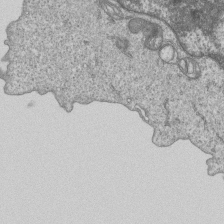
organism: Human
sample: MDA-MB-231 cells